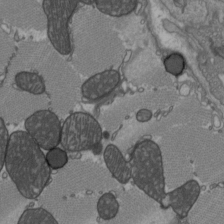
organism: C57BL Mouse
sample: Heart